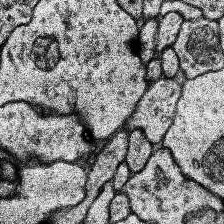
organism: Human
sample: Temporal Lobe